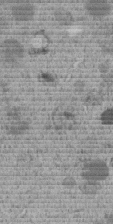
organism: C. elegans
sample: C. elegans embryo early stage